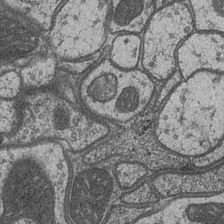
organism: Drosophila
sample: Optic medulla